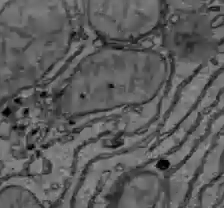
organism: C57BL Mouse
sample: Liver